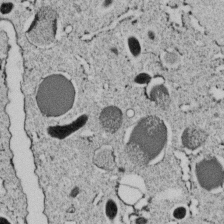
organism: C. elegans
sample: C. elegans embryo early stage